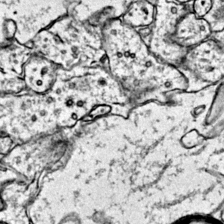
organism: Mouse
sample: Primary visual cortex